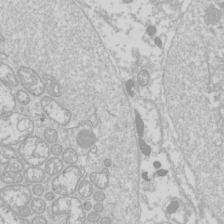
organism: Drosophila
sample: Cell division; meiosis; drosophila spermatocytes